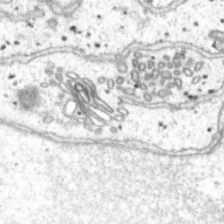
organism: Human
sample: HeLa cells